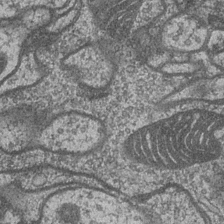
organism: Drosophila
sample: Optic medulla